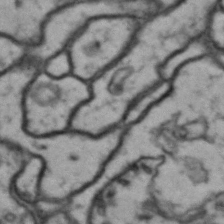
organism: Drosophila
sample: Brain